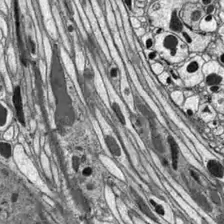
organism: Drosophila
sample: Optic lobe